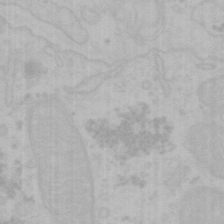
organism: Mouse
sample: Choroid plexus